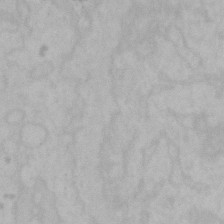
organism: Mouse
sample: Choroid plexus